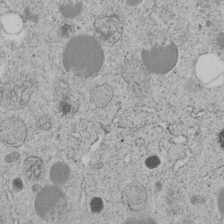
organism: C. elegans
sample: C. elegans embryo early stage